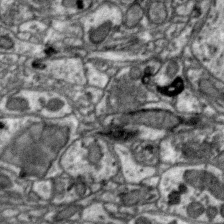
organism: Zebra finch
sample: Brain